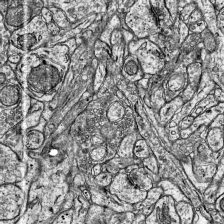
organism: Mouse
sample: Visual Cortex